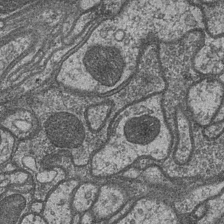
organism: Drosophila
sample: Optic medulla